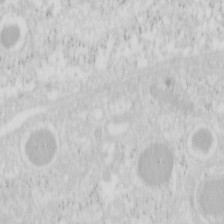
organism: Mouse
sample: Pancreas